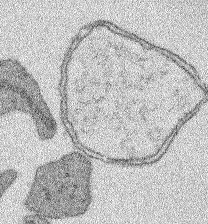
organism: Human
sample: HeLa cells